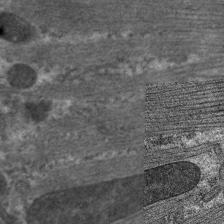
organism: C. elegans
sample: Pharynx